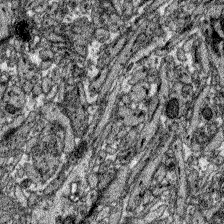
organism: Zebrafish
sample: Larval olfactory bulb